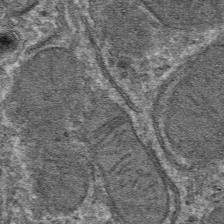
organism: Mouse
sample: Mouse hepatocytes